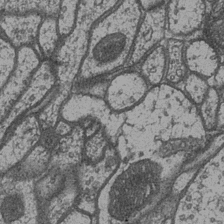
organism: Drosophila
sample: Optic medulla